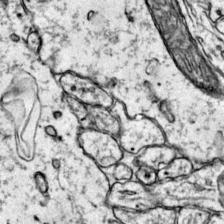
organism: Mouse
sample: Primary visual cortex